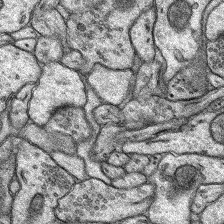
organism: Rat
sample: Hippocampus